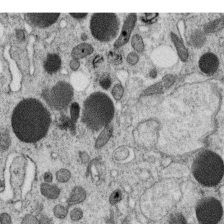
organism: C. elegans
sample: C. elegans oocyte; sperm cells